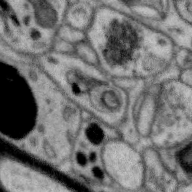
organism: Zebra finch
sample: Brain